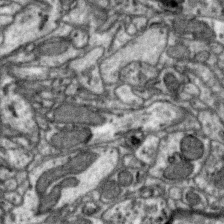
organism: Zebra finch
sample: Brain